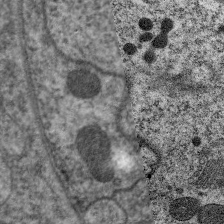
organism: C. elegans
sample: Pharynx